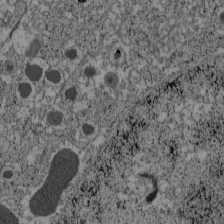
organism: C57BL Mouse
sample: Pancreatic islet